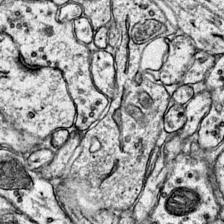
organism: Mouse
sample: Primary visual cortex